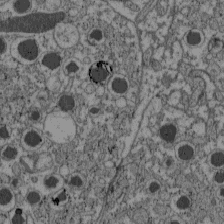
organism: C57BL Mouse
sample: Pancreatic islet